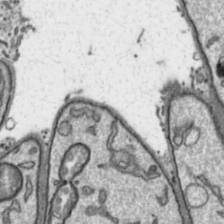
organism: Toxoplasma gondii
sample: Parasites in a vacuole inside a host cell